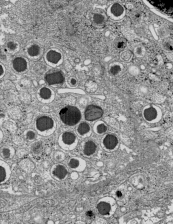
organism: C57BL Mouse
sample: Pancreatic islet